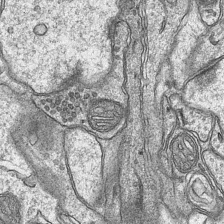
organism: Mouse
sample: CA1 Hippocampus